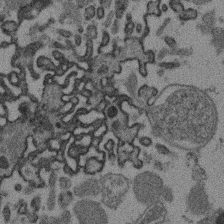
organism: Mouse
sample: Dividing mouse embryo 1 cell stage